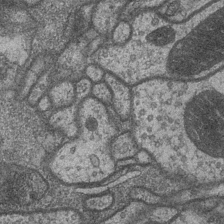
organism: Drosophila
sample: Optic medulla